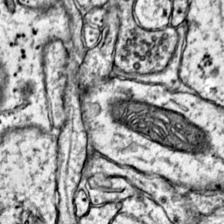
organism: Mouse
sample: Primary visual cortex